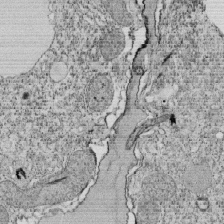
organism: Tetrahymena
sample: Cilia in tetrahymena